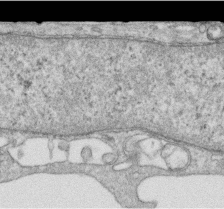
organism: Human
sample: Centriole in RPE cells